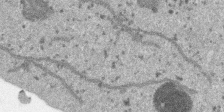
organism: Human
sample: Lung epithelial cells infected with SARS-CoV-2